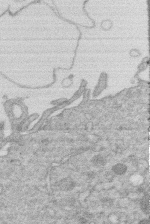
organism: Human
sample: Macrophage cells